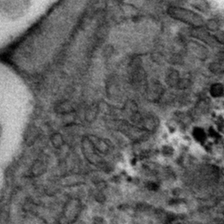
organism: Mouse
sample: Mouse hepatocytes